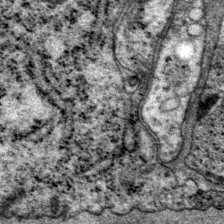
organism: P. pacificus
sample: Pharynx